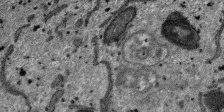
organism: Human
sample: Lung epithelial cells, uninfected (mock) control